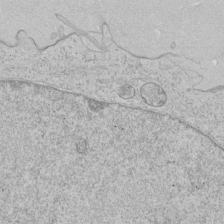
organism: Human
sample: Mitochondria in HCT116 cells